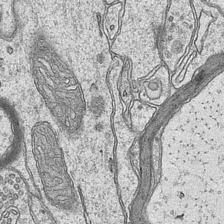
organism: Mouse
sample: CA1 Hippocampus